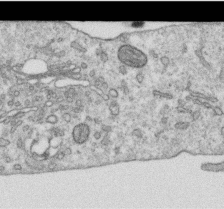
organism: Human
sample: Centriole in RPE cells